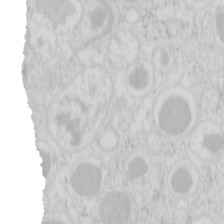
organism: Mouse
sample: Pancreas